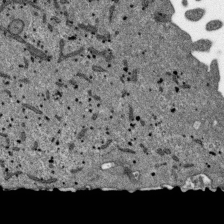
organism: Human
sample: Lung epithelial cells, uninfected (mock) control